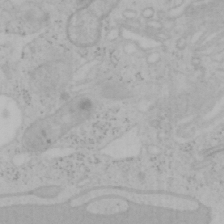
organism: Mouse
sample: OT-I killer T cells with ID8 ovarian cancer cells